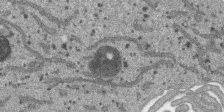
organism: Human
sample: Lung epithelial cells infected with SARS-CoV-2